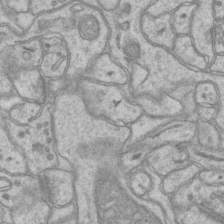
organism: Mouse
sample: CA1 Hippocampus